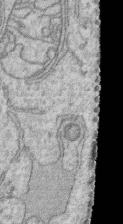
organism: Human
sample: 1205lu cells